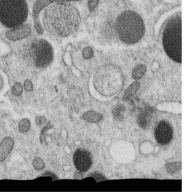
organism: C. elegans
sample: C. elegans oocyte; sperm cells